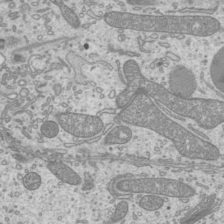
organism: Mouse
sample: Cilia; mouse epididymis